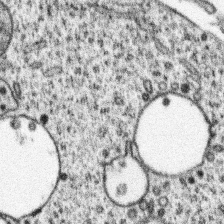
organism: Human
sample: HeLa cells